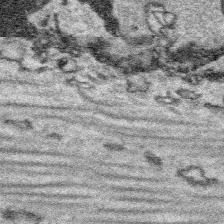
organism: Platynereis dumerilii